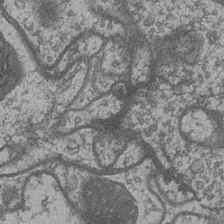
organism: Drosophila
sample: Optic medulla